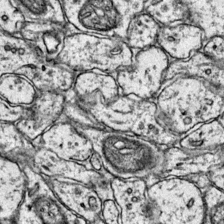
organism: Mouse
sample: Primary visual cortex